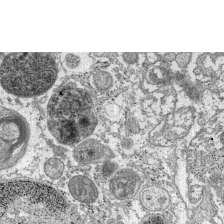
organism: C57BL Mouse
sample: Pancreatic islet